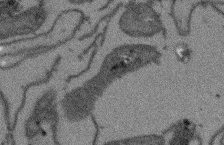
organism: Arabidopsis thaliana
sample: Root tip